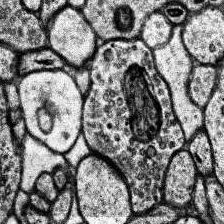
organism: Human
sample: Temporal Lobe